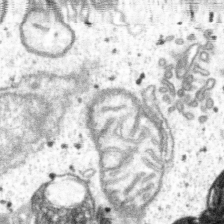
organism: Human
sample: HeLa cells